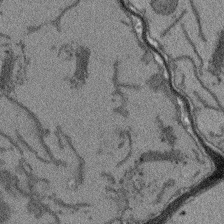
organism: Arabidopsis thaliana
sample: Root tip